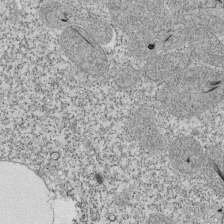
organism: Tetrahymena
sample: Cilia in tetrahymena